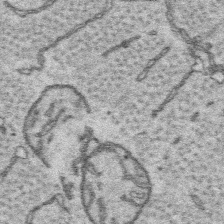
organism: Platynereis dumerilii